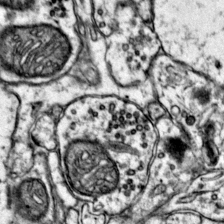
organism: Mouse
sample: Primary visual cortex